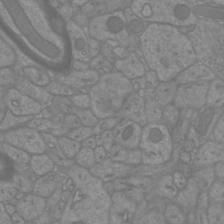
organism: Mouse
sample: Cortical neurons